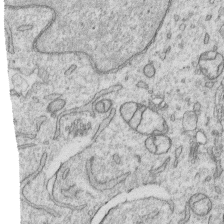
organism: Human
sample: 1205lu cells